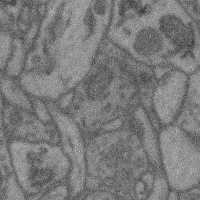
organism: Mouse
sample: Cerebral cortex